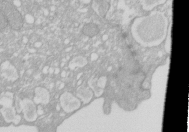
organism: Xenopus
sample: Cilia; centrioles in frog embryo cells